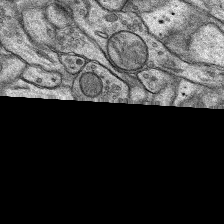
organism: Rat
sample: Hippocampus